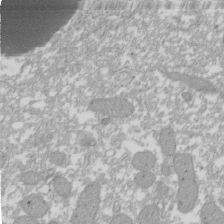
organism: Xenopus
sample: Cilia; centrioles in frog embryo cells